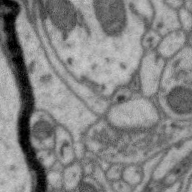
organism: Zebra finch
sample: Brain